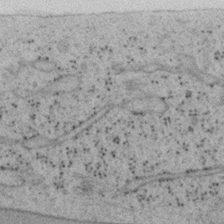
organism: Human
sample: HeLa cells